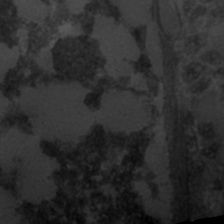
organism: C. elegans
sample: C. elegans embryo